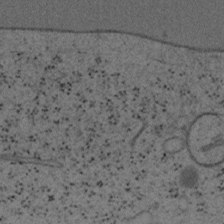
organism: Human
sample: HeLa cells